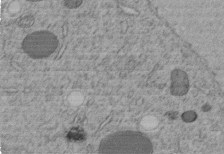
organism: C. elegans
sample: C. elegans embryo early stage